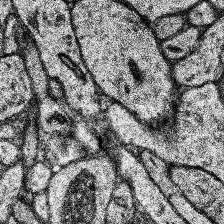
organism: Human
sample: Temporal Lobe